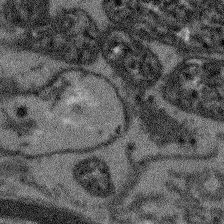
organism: Arabidopsis thaliana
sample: Root tip